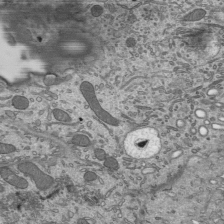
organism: Mouse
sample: Mouse epididymis efferent ductule cilia